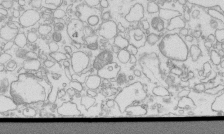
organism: Mouse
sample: Macrophages